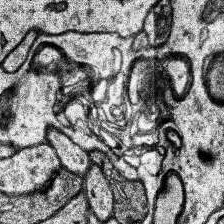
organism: Human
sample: Temporal Lobe